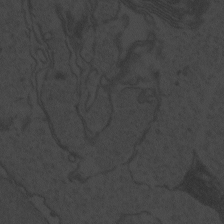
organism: Zebrafish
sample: Macrophage infected with Toxoplasma gondii